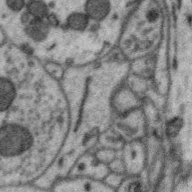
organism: Zebra finch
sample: Brain